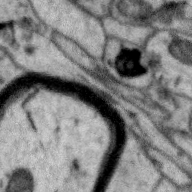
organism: Zebra finch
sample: Brain